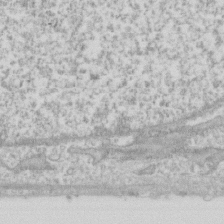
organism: Human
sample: Fibroblast cells